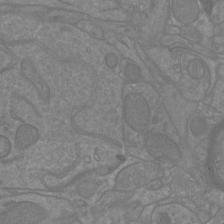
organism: Mouse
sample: Cortical neurons